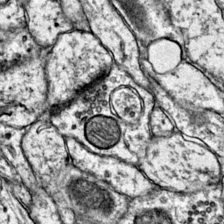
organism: Mouse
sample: Primary visual cortex